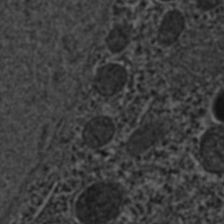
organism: C. elegans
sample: C. elegans embryo